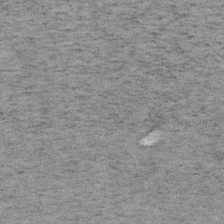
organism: Mouse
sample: OT-I killer T cells with ID8 ovarian cancer cells